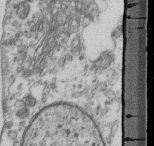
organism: Mouse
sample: Cilia; retinal pigment epithelium